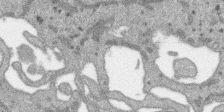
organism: Human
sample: Lung epithelial cells infected with SARS-CoV-2